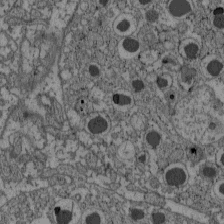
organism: C57BL Mouse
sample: Pancreatic islet